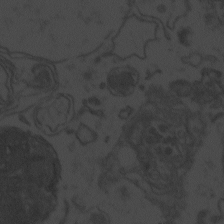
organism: Zebrafish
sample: Macrophage infected with Toxoplasma gondii